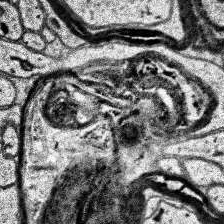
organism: Human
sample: Temporal Lobe